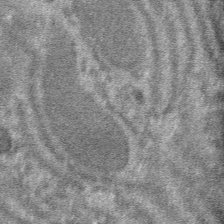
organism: Mouse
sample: Mouse hepatocytes